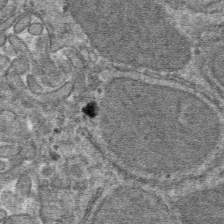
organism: Mouse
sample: Mouse hepatocytes